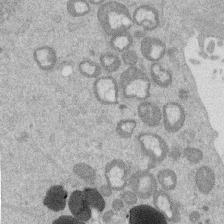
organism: Mouse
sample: Dividing mouse embryo 1 cell stage